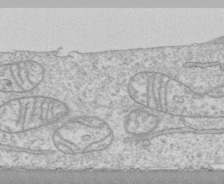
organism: Human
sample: CRL-1474